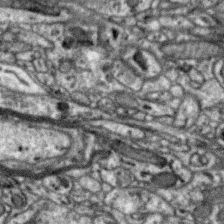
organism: Zebra finch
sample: Brain